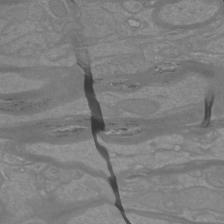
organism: Mouse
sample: Cortical neurons